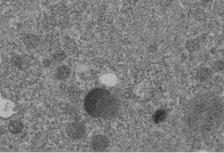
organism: C. elegans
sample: C. elegans embryo early stage